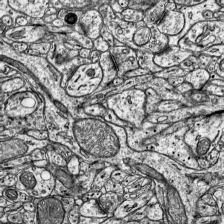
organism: Mouse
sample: Visual Cortex